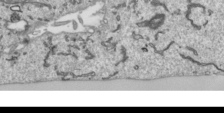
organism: Human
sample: Mitochondria in HCT116 cells